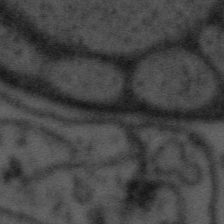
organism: Tuwongella immobilis